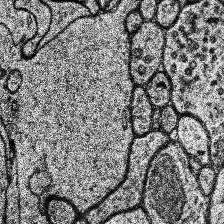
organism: Human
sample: Temporal Lobe